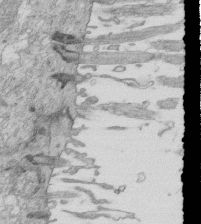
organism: Mouse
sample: Multiciliated cells